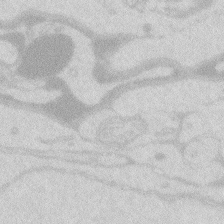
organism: Zebrafish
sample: Macrophage